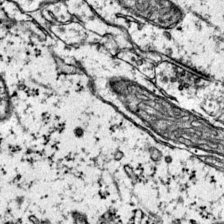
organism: Mouse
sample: Primary visual cortex